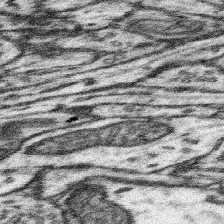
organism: Mouse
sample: Somatosensory cortex neuropil